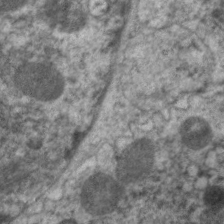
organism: C. elegans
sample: Pharynx